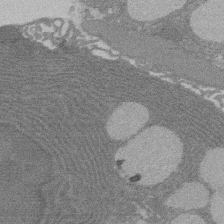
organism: Rat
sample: Salivary granule